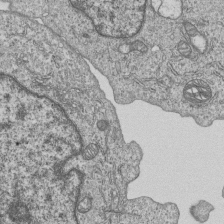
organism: Human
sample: MDA-MB-231 cells